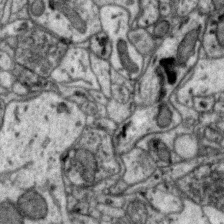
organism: Zebra finch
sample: Brain